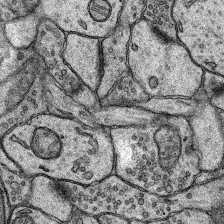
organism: Rat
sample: Hippocampus